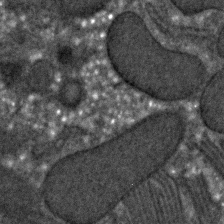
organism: C. elegans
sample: C. elegans embryo